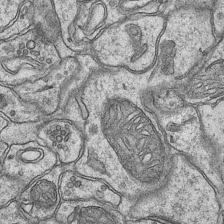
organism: Mouse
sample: CA1 Hippocampus